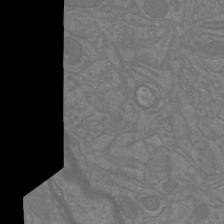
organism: Mouse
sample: Cortical neurons